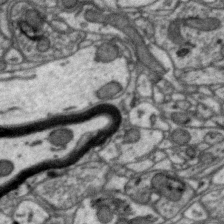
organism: Zebra finch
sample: Brain